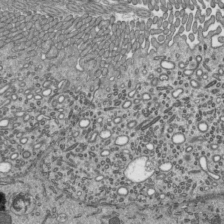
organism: Mouse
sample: Mouse epididymis efferent ductule cilia